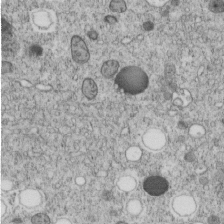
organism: C. elegans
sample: C. elegans embryo early stage